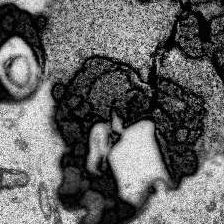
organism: Human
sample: Temporal Lobe